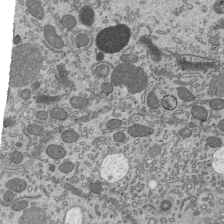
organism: Mouse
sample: Mouse epididymis efferent ductule cilia